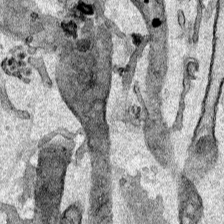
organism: Human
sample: Mitochondria in HCT116 cells